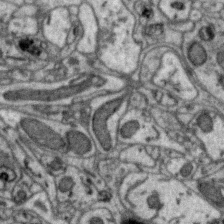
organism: Zebra finch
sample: Brain